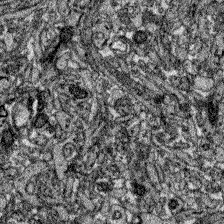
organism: Zebrafish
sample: Larval olfactory bulb